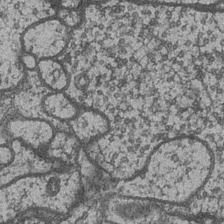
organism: Drosophila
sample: Optic medulla